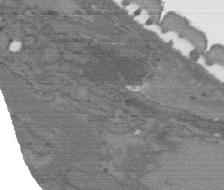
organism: C. elegans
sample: AFD neurons C. elegans